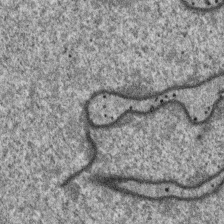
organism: Human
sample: Lung epithelial cells, uninfected (mock) control